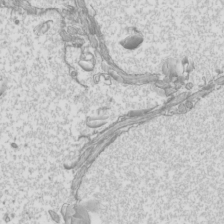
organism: Mouse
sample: Cilia; mouse epididymis